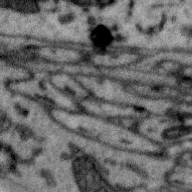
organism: Zebra finch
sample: Brain